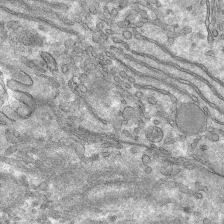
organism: Mouse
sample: Mouse hepatocytes